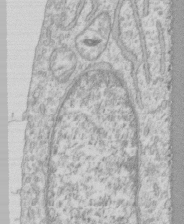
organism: Human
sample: CRL-1474